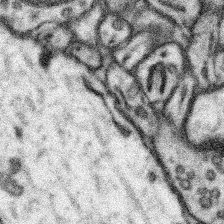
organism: Mouse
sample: Somatosensory cortex neuropil